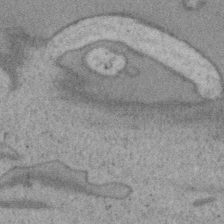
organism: Human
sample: HeLa cells